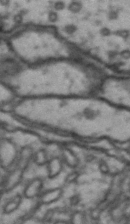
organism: Drosophila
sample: Brain